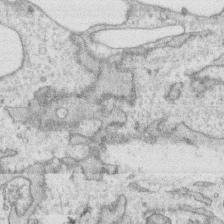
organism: Human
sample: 1205lu cells